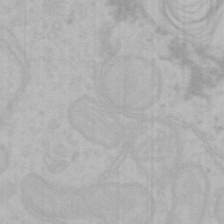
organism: Mouse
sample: Choroid plexus